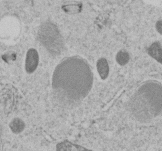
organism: C. elegans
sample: C. elegans embryo early stage